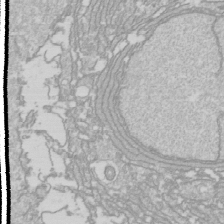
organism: Drosophila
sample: Cell division; meiosis; drosophila spermatocytes